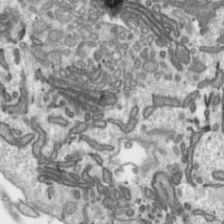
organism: Toxoplasma gondii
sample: Parasites in a vacuole inside a host cell